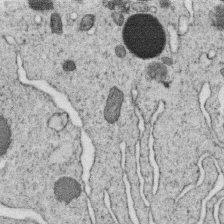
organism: C. elegans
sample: C. elegans oocyte; sperm cells